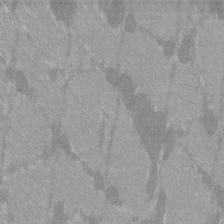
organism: C57BL Mouse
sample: Tibialis anterior muscle cell